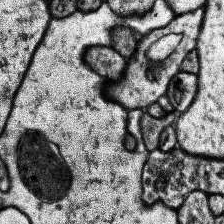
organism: Human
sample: Temporal Lobe